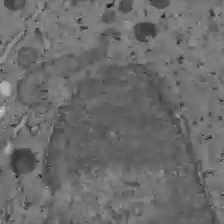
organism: C57BL Mouse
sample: Liver